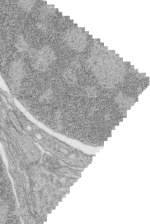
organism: Zebrafish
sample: synaptic ribbons in rod cells and cone cells